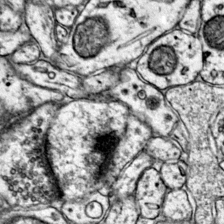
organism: Mouse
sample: Primary visual cortex